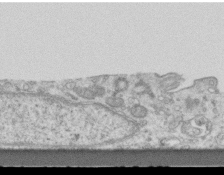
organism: Mouse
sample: Centriole in ependymal cells